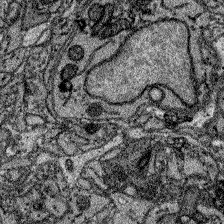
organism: Zebrafish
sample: Larval olfactory bulb